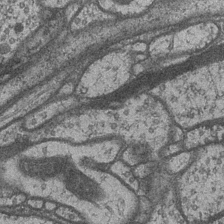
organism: Drosophila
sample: Optic medulla